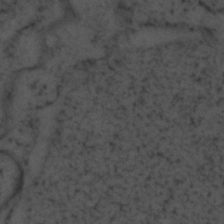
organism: Zebrafish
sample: Zebrafish embryo